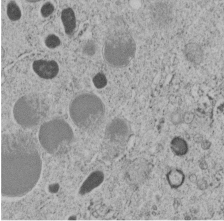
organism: C. elegans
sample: C. elegans embryo early stage